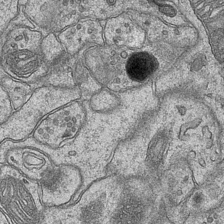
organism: Mouse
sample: CA1 Hippocampus